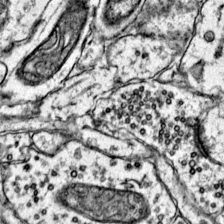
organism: Mouse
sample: Primary visual cortex